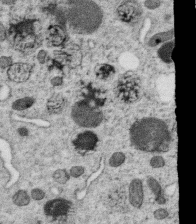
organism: C. elegans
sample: C. elegans oocyte; sperm cells